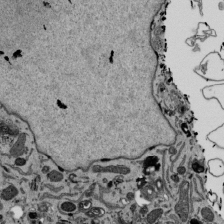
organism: Mouse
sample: ED-1 cell nuclei; centrioles